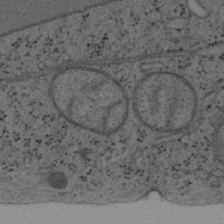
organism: Human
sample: HeLa cells